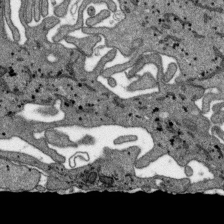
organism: Human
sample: Lung epithelial cells, uninfected (mock) control